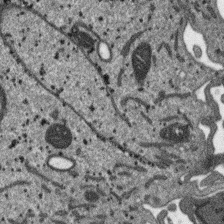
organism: Human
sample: Lung epithelial cells infected with SARS-CoV-2